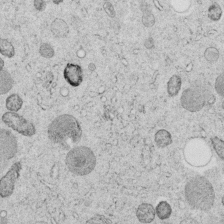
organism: C. elegans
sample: C. elegans embryo early stage